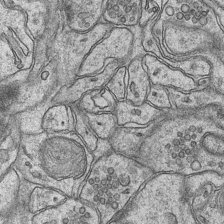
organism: Mouse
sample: CA1 Hippocampus